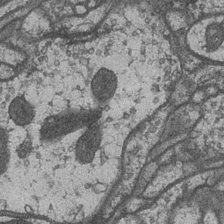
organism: Drosophila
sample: Optic medulla